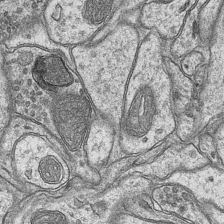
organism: Mouse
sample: CA1 Hippocampus